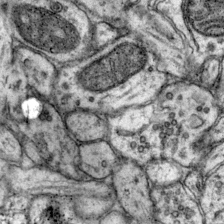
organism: Mouse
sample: Primary visual cortex